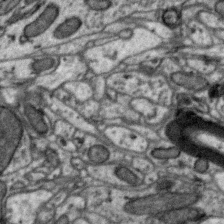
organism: Zebra finch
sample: Brain